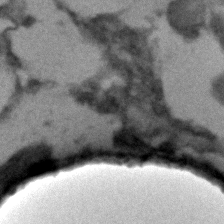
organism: C. elegans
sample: C. elegans embryo